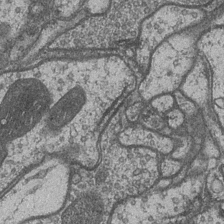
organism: Drosophila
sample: Optic medulla